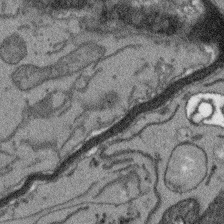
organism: Arabidopsis thaliana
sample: Root tip